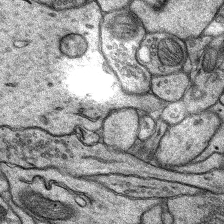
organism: Rat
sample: Hippocampus